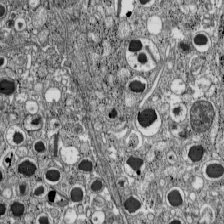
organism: C57BL Mouse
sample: Pancreatic islet